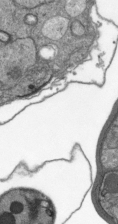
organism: Plasmodium falciparum